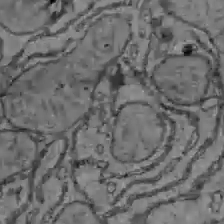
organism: C57BL Mouse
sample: Liver